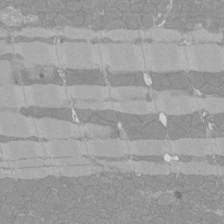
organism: Rat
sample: Left ventricle